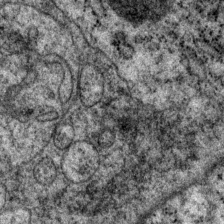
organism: P. pacificus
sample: Pharynx